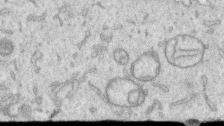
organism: Human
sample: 1205lu cells